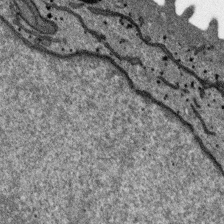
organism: Human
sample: Lung epithelial cells, uninfected (mock) control